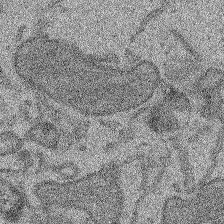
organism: Human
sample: HeLa cells